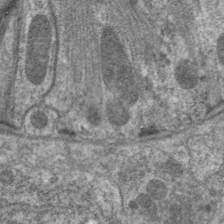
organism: C. elegans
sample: Pharynx